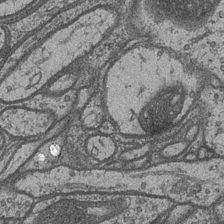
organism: Drosophila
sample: Optic medulla